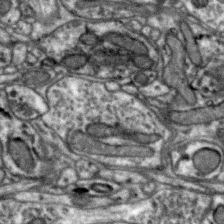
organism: Zebra finch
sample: Brain